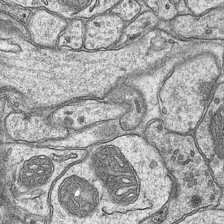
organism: Mouse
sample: CA1 Hippocampus